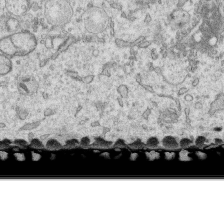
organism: Human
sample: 1205lu cells